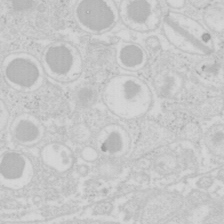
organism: Mouse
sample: Pancreas